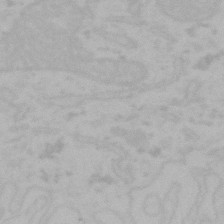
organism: Mouse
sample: Choroid plexus